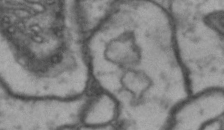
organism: Drosophila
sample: Brain